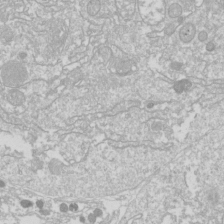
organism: Drosophila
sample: Cell division; meiosis; drosophila spermatocytes